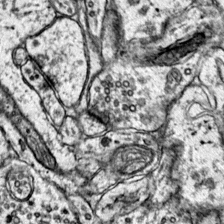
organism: Mouse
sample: Primary visual cortex